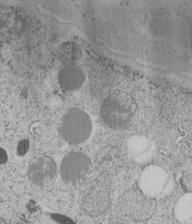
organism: C. elegans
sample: C. elegans embryo early stage